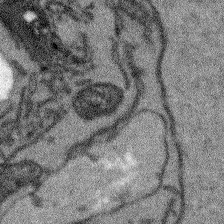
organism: Arabidopsis thaliana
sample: Root tip